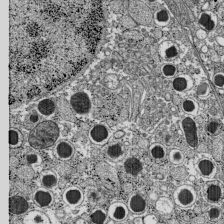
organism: C57BL Mouse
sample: Pancreatic islet